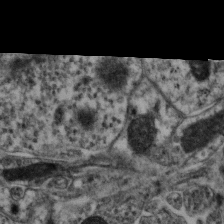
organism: Mouse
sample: Neocortex